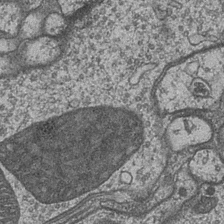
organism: Drosophila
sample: Optic medulla